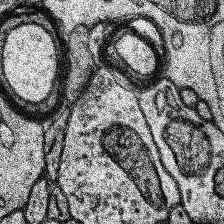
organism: Human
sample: Temporal Lobe